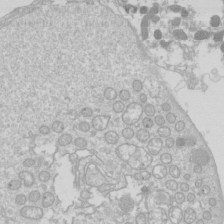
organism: Drosophila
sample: Cell division; meiosis; drosophila spermatocytes